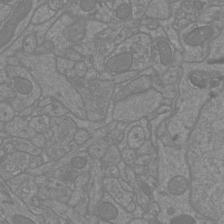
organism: Mouse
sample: Cortical neurons